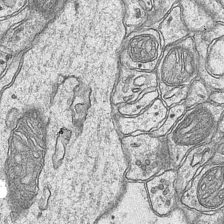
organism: Mouse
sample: CA1 Hippocampus